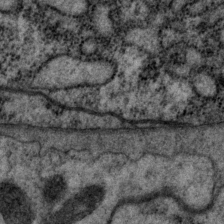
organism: P. pacificus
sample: Pharynx